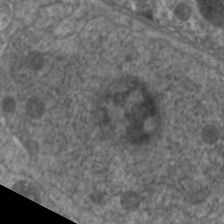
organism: C. elegans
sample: Pharynx